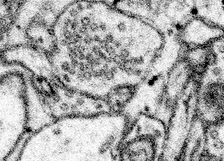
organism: Mouse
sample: Somatosensory cortex neuropil